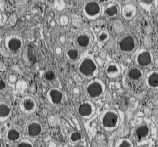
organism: C57BL Mouse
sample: Pancreatic islet